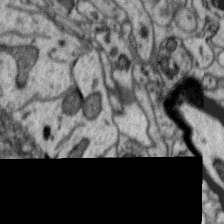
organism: Zebra finch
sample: Brain